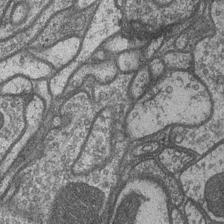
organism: Drosophila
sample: Optic medulla